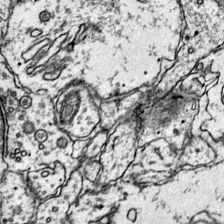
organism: Mouse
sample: Primary visual cortex